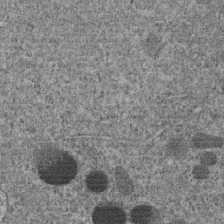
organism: C. elegans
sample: C. elegans embryo early stage